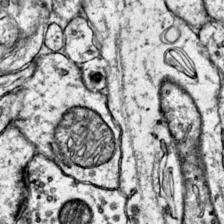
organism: Mouse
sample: Primary visual cortex